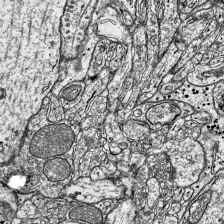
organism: Mouse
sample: Visual Cortex